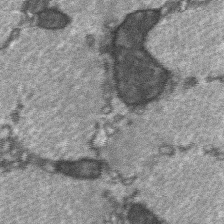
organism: C57BL Mouse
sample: Soleus